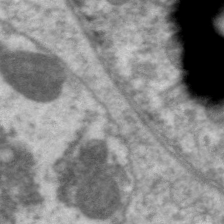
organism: C. elegans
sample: Pharynx